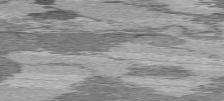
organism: C57BL Mouse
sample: Heart